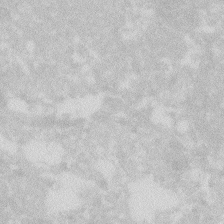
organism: Zebrafish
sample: Macrophage